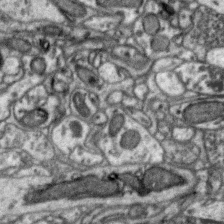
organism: Zebra finch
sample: Brain